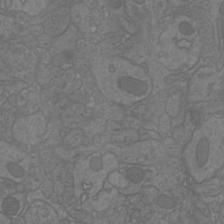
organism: Mouse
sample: Cortical neurons